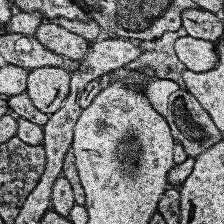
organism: Human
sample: Temporal Lobe